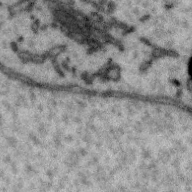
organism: Zebra finch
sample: Brain